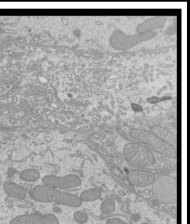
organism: Mouse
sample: Cilia; mouse epididymis